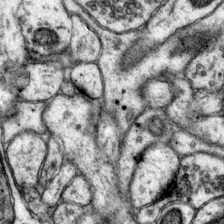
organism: Mouse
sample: Primary visual cortex